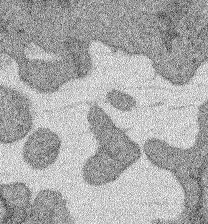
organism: Human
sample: HeLa cells